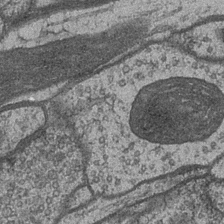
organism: Drosophila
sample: Optic medulla